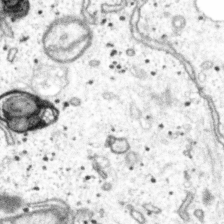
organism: Human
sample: HeLa cells